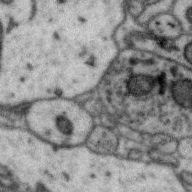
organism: Zebra finch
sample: Brain